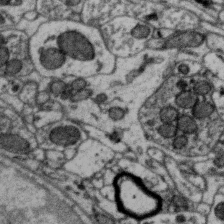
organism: Zebra finch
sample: Brain